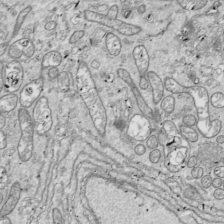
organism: Drosophila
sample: Cell division; meiosis; drosophila spermatocytes